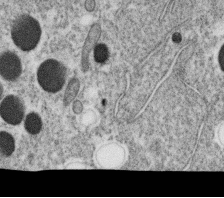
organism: C. elegans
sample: C. elegans oocyte; sperm cells